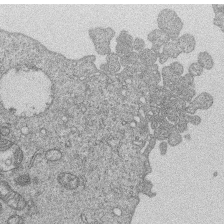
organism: Human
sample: MDA-MB-231 cells